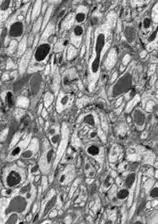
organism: Drosophila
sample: Optic lobe